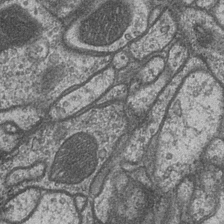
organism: Drosophila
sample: Optic medulla